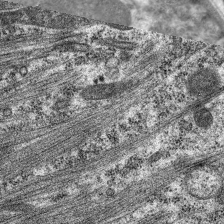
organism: C. elegans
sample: Pharynx